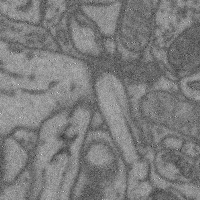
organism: Mouse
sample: Cerebral cortex